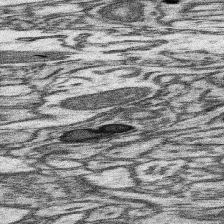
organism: Mouse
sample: Somatosensory cortex neuropil